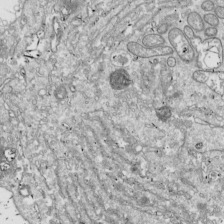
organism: Drosophila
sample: Cell division; meiosis; drosophila spermatocytes